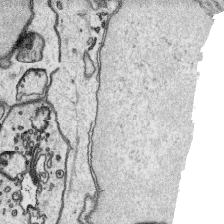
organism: Platynereis dumerilii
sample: Parapodia